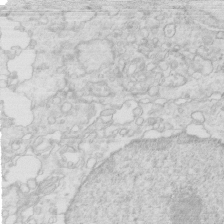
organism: Mouse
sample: Multiciliated cells